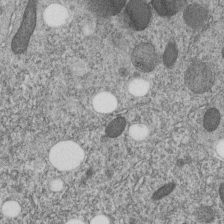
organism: C. elegans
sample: C. elegans embryo early stage